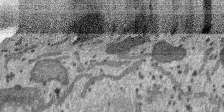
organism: Human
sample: Lung epithelial cells infected with SARS-CoV-2